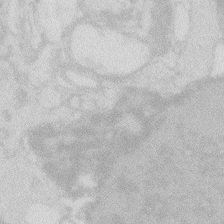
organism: Zebrafish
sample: Macrophage